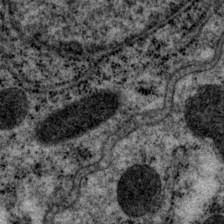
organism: P. pacificus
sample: Pharynx